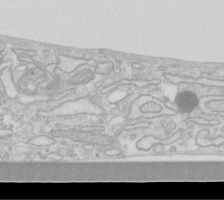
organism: Human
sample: Fibroblast cells